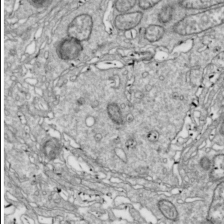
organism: Drosophila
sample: Cell division; meiosis; drosophila spermatocytes